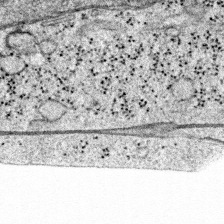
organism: Human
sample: HeLa cells